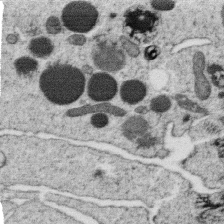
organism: C. elegans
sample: C. elegans oocyte; sperm cells